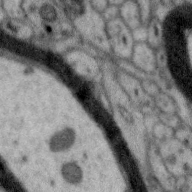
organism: Zebra finch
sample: Brain